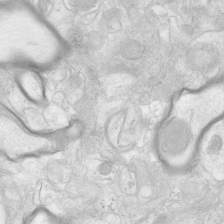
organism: Human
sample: Neocortex